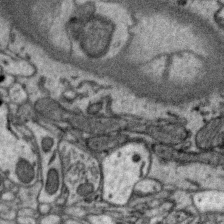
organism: Zebra finch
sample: Brain